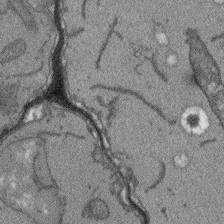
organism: Arabidopsis thaliana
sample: Root tip